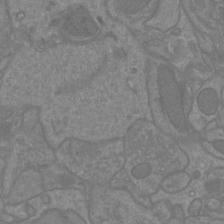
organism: Mouse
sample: Cortical neurons